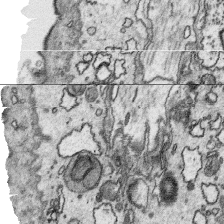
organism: Platynereis dumerilii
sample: Parapodia